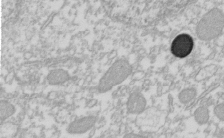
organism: Xenopus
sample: Cilia; centrioles in frog embryo cells